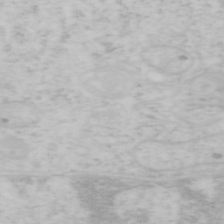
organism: Mouse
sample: OT-I killer T cells with ID8 ovarian cancer cells